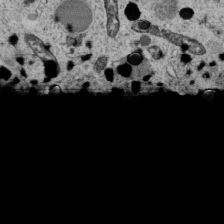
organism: C. elegans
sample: C. elegans embryo early stage